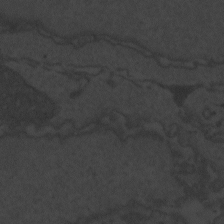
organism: Zebrafish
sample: Macrophage infected with Toxoplasma gondii